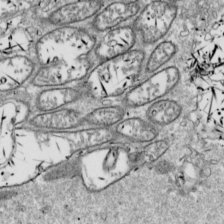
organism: Drosophila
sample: Cell division; meiosis; drosophila spermatocytes